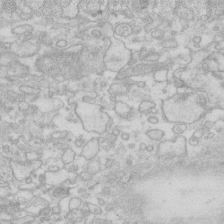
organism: Human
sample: Fibroblast cells